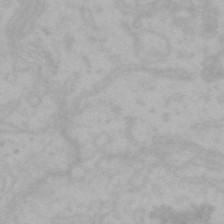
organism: Mouse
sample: Choroid plexus